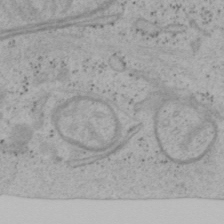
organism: Human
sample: HeLa cells